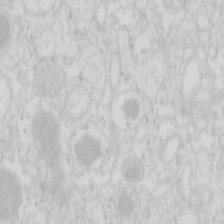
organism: Mouse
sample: Pancreas